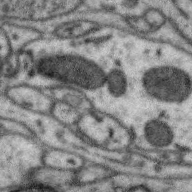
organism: Zebra finch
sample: Brain